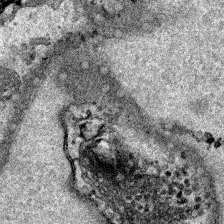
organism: Human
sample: Mitochondria in HCT116 cells